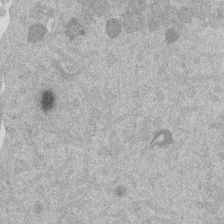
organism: Mouse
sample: Dividing mouse embryo 1 cell stage